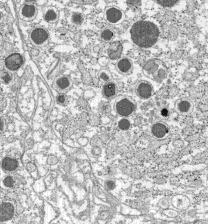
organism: C57BL Mouse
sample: Pancreatic islet